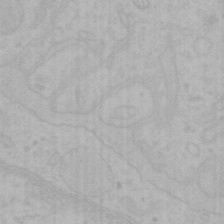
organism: Mouse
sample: Choroid plexus